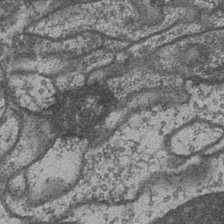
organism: Drosophila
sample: Optic medulla